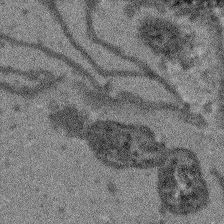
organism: Arabidopsis thaliana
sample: Root tip